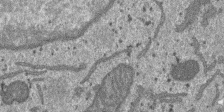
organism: Human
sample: Lung epithelial cells infected with SARS-CoV-2